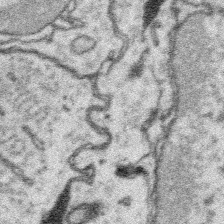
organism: Platynereis dumerilii